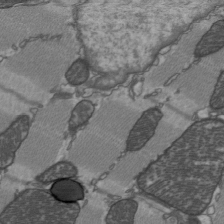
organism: C57BL Mouse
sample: Heart